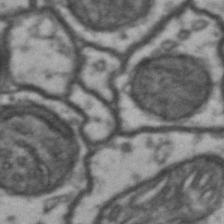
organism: Drosophila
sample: Brain